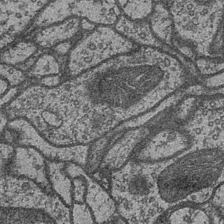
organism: Drosophila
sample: Optic medulla